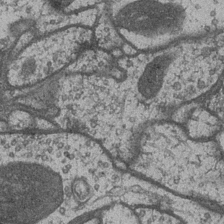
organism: Drosophila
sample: Optic medulla